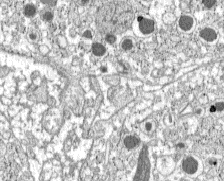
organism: C57BL Mouse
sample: Pancreatic islet